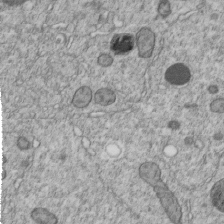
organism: C. elegans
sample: C. elegans embryo early stage